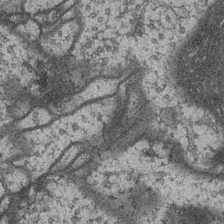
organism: Drosophila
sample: Optic medulla